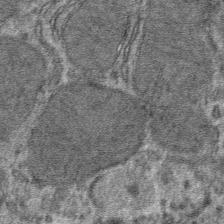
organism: Mouse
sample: Mouse hepatocytes